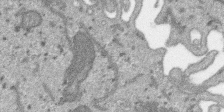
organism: Human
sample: Lung epithelial cells infected with SARS-CoV-2